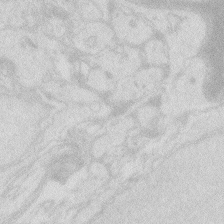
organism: Zebrafish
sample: Macrophage